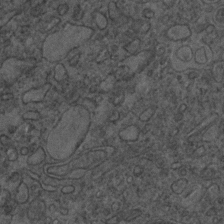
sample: Trachea